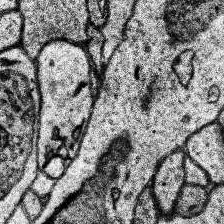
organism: Human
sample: Temporal Lobe